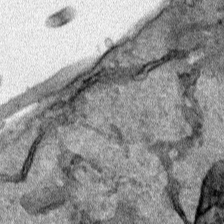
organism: Human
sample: Mitochondria in HCT116 cells